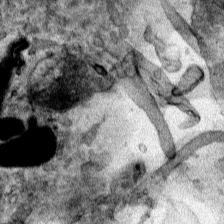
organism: Human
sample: Mitochondria in HCT116 cells